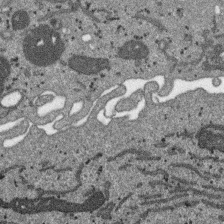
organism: Human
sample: Lung epithelial cells infected with SARS-CoV-2